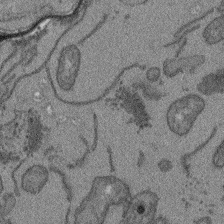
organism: Arabidopsis thaliana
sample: Root tip